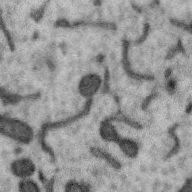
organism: Zebra finch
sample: Brain